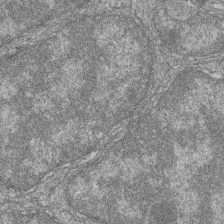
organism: Zebrafish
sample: Cilia; retinal pigment epithelium